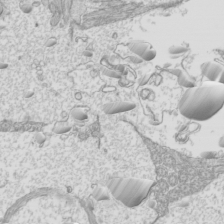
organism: Mouse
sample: Cilia; mouse epididymis